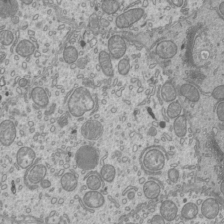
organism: Mouse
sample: Cilia; mouse epididymis